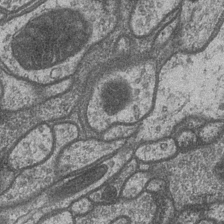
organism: Drosophila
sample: Optic medulla